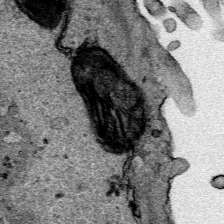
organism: Human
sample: Mitochondria in HCT116 cells